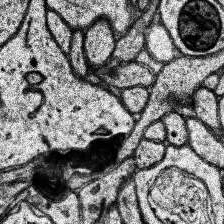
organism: Human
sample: Temporal Lobe